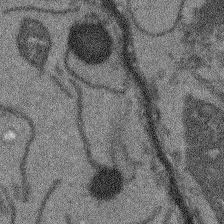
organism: Arabidopsis thaliana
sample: Root tip